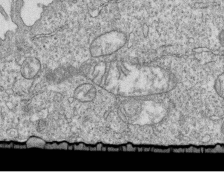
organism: Human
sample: HeLa cell HIV synapse